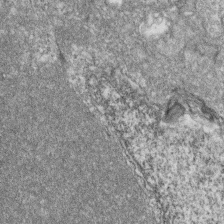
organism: Zebrafish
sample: Cilia; retinal pigment epithelium